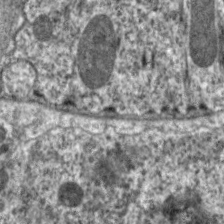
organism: C. elegans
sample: Pharynx